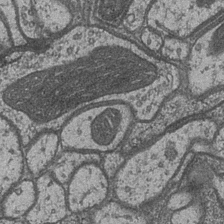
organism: Drosophila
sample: Optic medulla